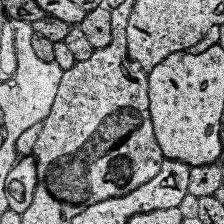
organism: Human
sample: Temporal Lobe